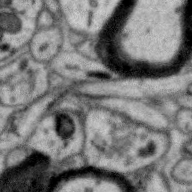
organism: Zebra finch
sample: Brain